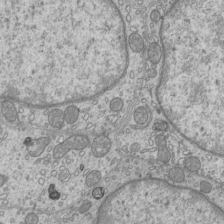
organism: Mouse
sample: Cilia; mouse epididymis